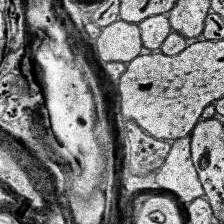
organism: Human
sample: Temporal Lobe